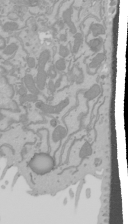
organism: Mouse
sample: Cancer cell death in ED-1 cells